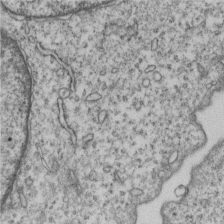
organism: Human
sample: MDA-MB-231 cells